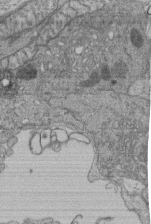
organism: Human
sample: Retinal organoid Rod and Cone cells